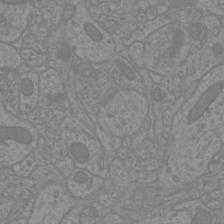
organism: Mouse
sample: Cortical neurons